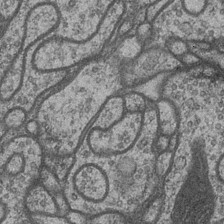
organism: Drosophila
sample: Optic medulla